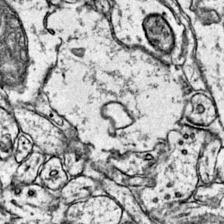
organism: Mouse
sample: Primary visual cortex